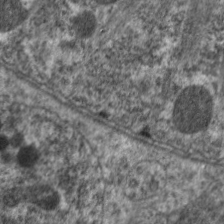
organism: C. elegans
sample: Pharynx